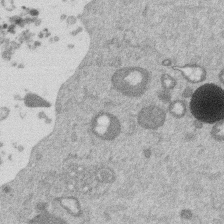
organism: Mouse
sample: Dividing mouse embryo 1 cell stage